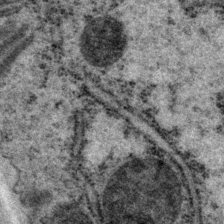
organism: P. pacificus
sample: Pharynx